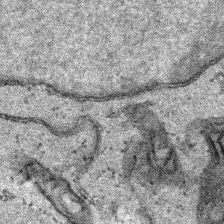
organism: Human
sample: Mitochondria in HCT116 cells